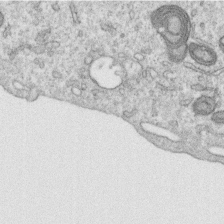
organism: Human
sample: Centriole in RPE cells